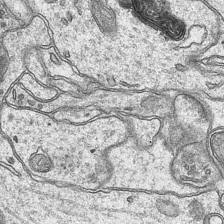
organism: Mouse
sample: CA1 Hippocampus